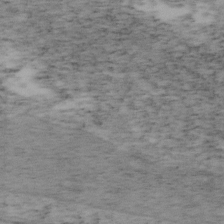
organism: Mouse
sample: OT-I killer T cells with ID8 ovarian cancer cells